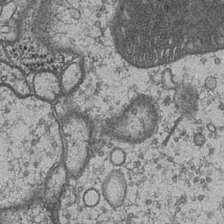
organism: Drosophila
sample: Optic medulla